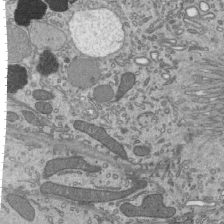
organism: Mouse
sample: Mouse epididymis efferent ductule cilia